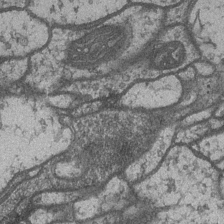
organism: Drosophila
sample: Optic medulla